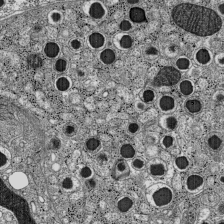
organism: C57BL Mouse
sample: Pancreatic islet